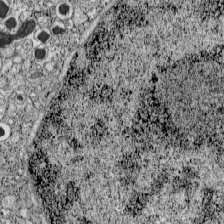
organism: C57BL Mouse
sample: Pancreatic islet